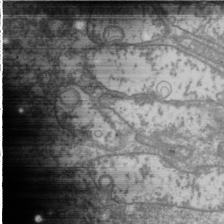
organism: Drosophila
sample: Cell division; meiosis; drosophila spermatocytes